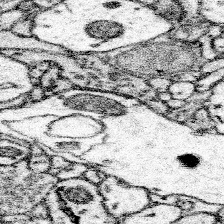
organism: Mouse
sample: Somatosensory cortex neuropil